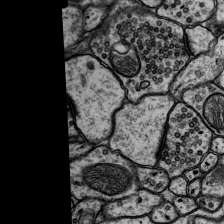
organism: Rat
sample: Hippocampus